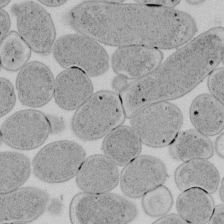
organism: E. coli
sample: Bacterial nucleoid